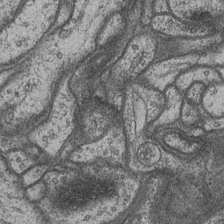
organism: Drosophila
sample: Optic medulla